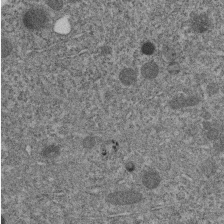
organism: C. elegans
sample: C. elegans embryo early stage